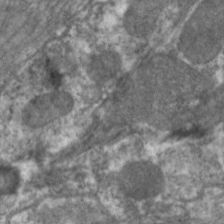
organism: C. elegans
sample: Pharynx